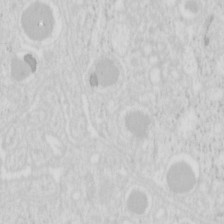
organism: Mouse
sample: Pancreas